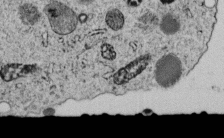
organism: C. elegans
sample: C. elegans embryo early stage